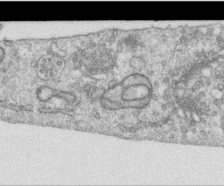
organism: Human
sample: Centriole in RPE cells